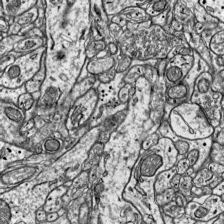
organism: Mouse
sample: Visual Cortex